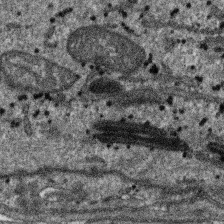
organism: Human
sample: Lung epithelial cells infected with SARS-CoV-2